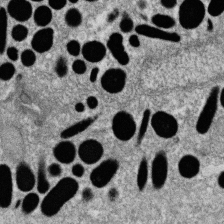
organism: Zebrafish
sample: Cilia; retinal pigment epithelium